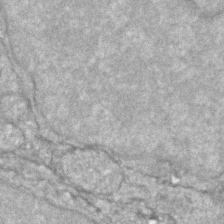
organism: Zebrafish